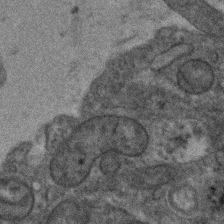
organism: Human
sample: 1205lu cells